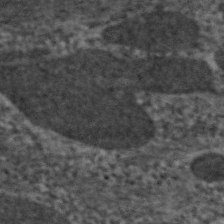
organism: C. elegans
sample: Pharynx